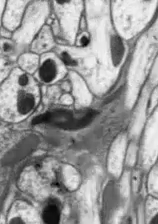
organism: Drosophila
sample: Optic lobe